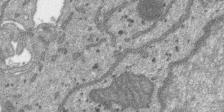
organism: Human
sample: Lung epithelial cells infected with SARS-CoV-2